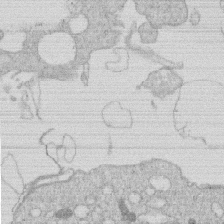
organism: Human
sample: Macrophage cells